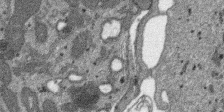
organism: Human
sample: Lung epithelial cells infected with SARS-CoV-2